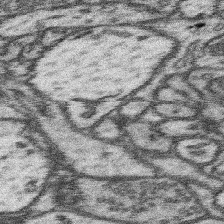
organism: Mouse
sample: Somatosensory cortex neuropil